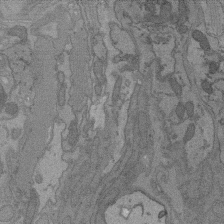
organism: C. elegans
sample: AFD neurons C. elegans